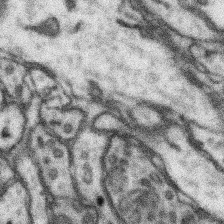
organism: Mouse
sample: Somatosensory cortex neuropil